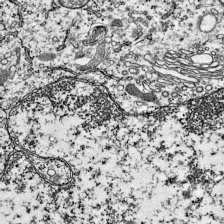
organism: Mouse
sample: Visual Cortex